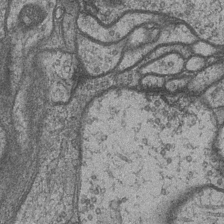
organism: Drosophila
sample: Optic medulla